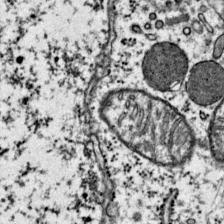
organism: Mouse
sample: Primary visual cortex